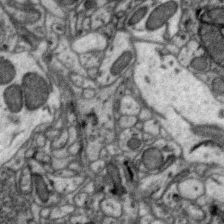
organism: Zebra finch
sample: Brain